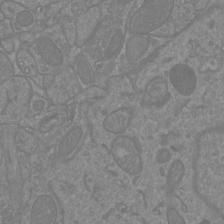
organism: Mouse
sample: Cortical neurons